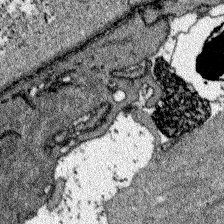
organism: Zebrafish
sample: Larval olfactory bulb